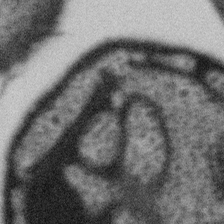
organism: Gemmata obscuriglobus